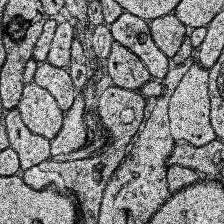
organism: Human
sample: Temporal Lobe